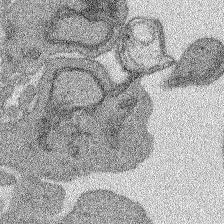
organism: Human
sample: HeLa cells